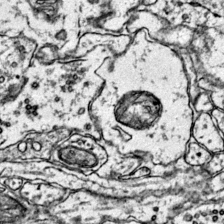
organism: Mouse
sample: Primary visual cortex